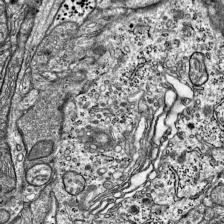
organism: Mouse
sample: Visual Cortex